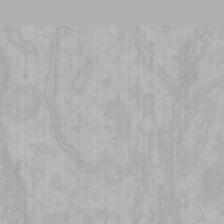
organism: Mouse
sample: Choroid plexus